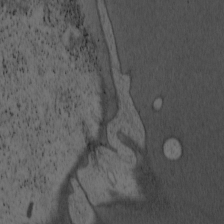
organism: African green monkey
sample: COS-7 cells